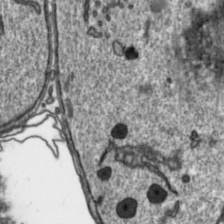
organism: Toxoplasma gondii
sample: Parasites in a vacuole inside a host cell